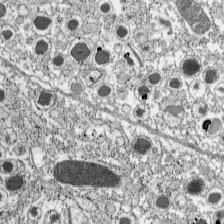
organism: C57BL Mouse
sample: Pancreatic islet